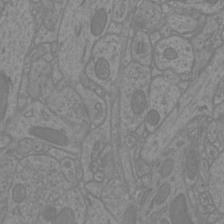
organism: Mouse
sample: Cortical neurons